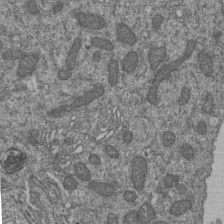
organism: Human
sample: Retinal organoid Rod and Cone cells